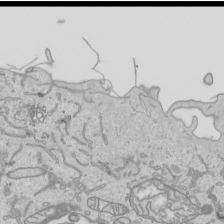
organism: Human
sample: Mitochondria in HCT116 cells